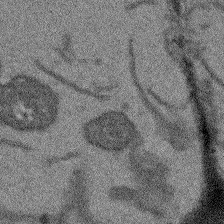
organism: Arabidopsis thaliana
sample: Root tip